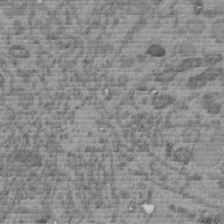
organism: C. elegans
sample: C. elegans embryo early stage